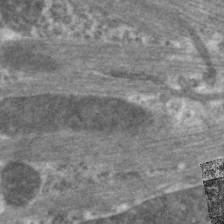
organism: C. elegans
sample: Pharynx